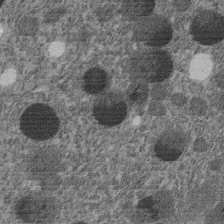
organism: C. elegans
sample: C. elegans embryo early stage